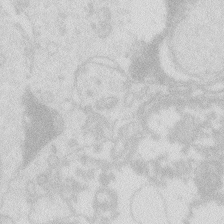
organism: Zebrafish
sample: Macrophage